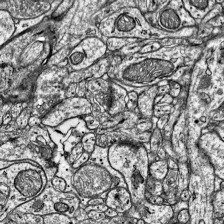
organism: Mouse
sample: Visual Cortex